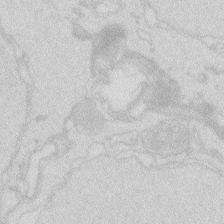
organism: Zebrafish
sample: Macrophage